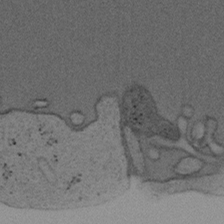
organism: Human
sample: HeLa cells